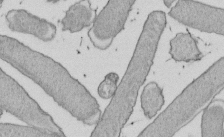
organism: E. coli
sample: Bacterial nucleoid